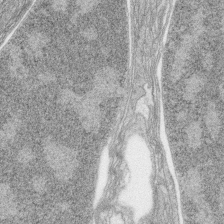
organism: Zebrafish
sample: synaptic ribbons in rod cells and cone cells